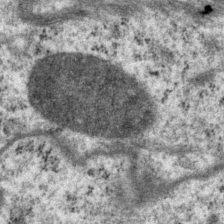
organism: P. pacificus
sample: Pharynx